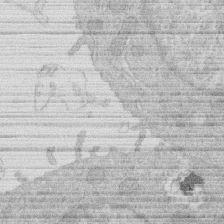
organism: Human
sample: Macrophage cells